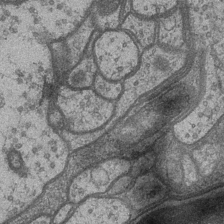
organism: Drosophila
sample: Optic medulla